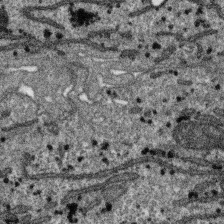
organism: Human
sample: Lung epithelial cells infected with SARS-CoV-2